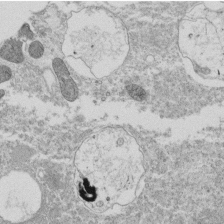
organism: Tetrahymena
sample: Cilia in tetrahymena